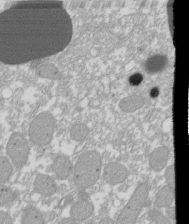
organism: Xenopus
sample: Cilia; centrioles in frog embryo cells